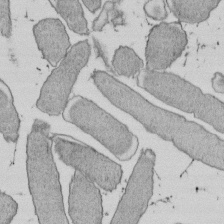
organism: E. coli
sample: Bacterial nucleoid